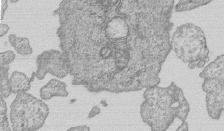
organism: Human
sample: MDA-MB-231 cells